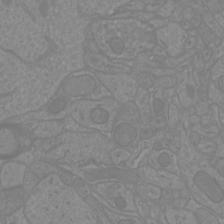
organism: Mouse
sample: Cortical neurons